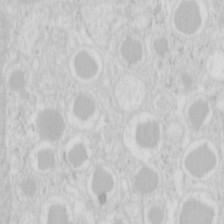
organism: Mouse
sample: Pancreas